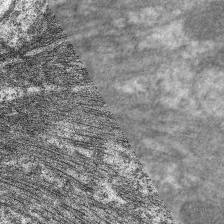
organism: C. elegans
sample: Pharynx